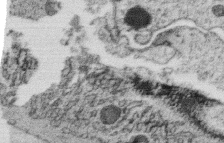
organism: C. elegans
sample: C. elegans oocyte; sperm cells